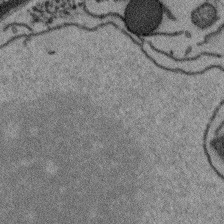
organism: Arabidopsis thaliana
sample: Root tip